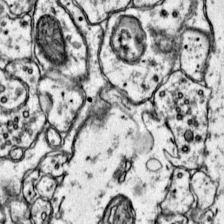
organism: Mouse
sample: Primary visual cortex